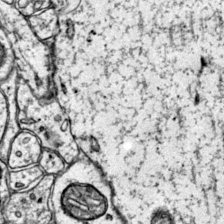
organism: Mouse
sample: Primary visual cortex